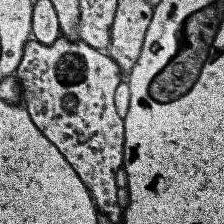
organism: Human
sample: Temporal Lobe